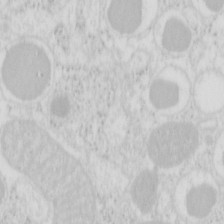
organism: Mouse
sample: Pancreas